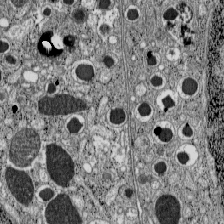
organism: C57BL Mouse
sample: Pancreatic islet